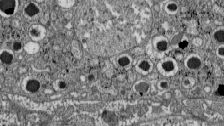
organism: C57BL Mouse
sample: Pancreatic islet